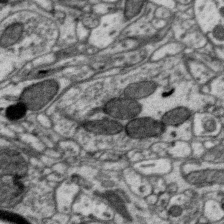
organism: Zebra finch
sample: Brain